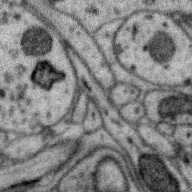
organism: Zebra finch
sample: Brain